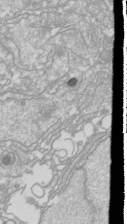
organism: Drosophila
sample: Cell division; meiosis; drosophila spermatocytes